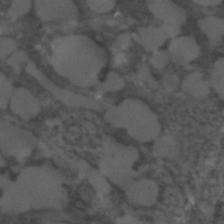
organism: C. elegans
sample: C. elegans embryo